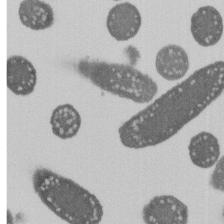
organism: E. coli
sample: Bacterial nucleoid